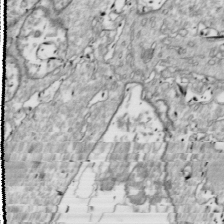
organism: Drosophila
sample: Cell division; meiosis; drosophila spermatocytes